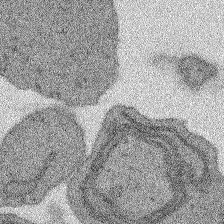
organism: Human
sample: HeLa cells